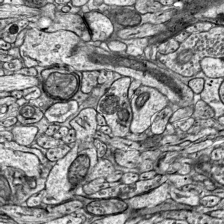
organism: Mouse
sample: Visual Cortex